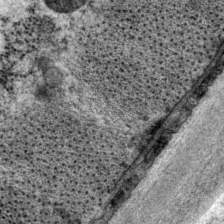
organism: P. pacificus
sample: Pharynx